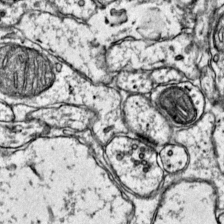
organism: Mouse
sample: Primary visual cortex